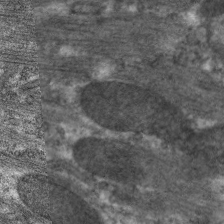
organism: C. elegans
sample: Pharynx